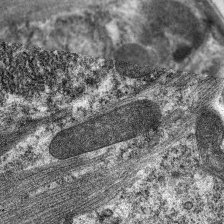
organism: C. elegans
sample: Pharynx